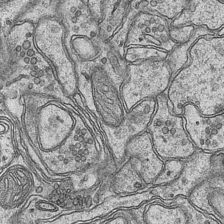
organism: Mouse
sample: CA1 Hippocampus